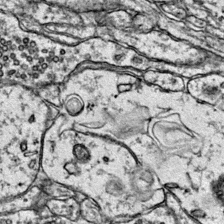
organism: Mouse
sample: Primary visual cortex